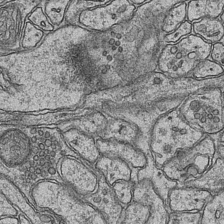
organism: Mouse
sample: CA1 Hippocampus